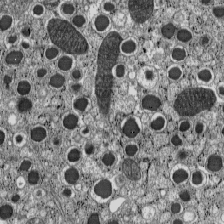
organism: C57BL Mouse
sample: Pancreatic islet